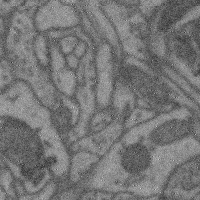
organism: Mouse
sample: Cerebral cortex